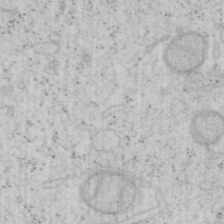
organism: Human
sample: HeLa cells